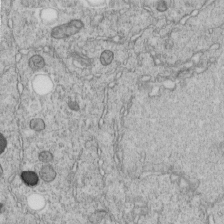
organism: C. elegans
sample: C. elegans embryo early stage